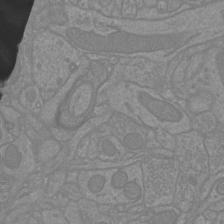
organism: Mouse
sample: Cortical neurons